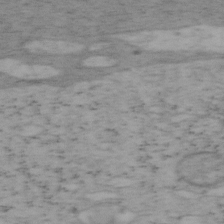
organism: Mouse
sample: OT-I killer T cells with ID8 ovarian cancer cells